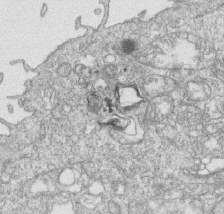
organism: Human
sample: HeLa cell HIV synapse